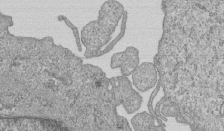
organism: Human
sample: MDA-MB-231 cells